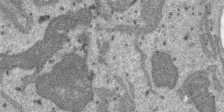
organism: Human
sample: Lung epithelial cells infected with SARS-CoV-2